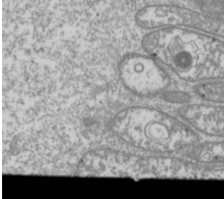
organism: Drosophila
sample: Cell division; meiosis; drosophila spermatocytes